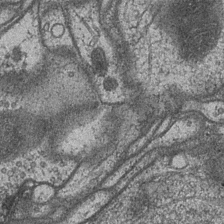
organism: Drosophila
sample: Optic medulla